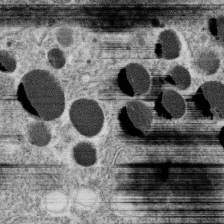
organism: C. elegans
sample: C. elegans oocyte; sperm cells